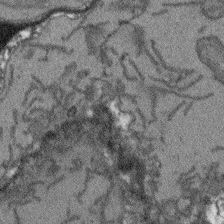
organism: Arabidopsis thaliana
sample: Root tip